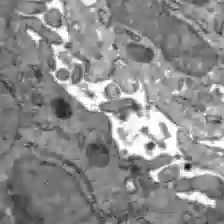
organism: C57BL Mouse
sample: Liver